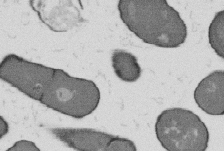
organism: B. subtilis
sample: Bacterial spore